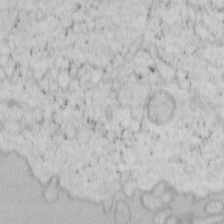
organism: Human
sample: HeLa cells